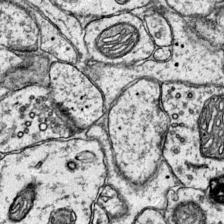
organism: Mouse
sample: Primary visual cortex